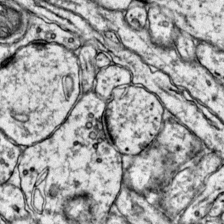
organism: Mouse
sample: Primary visual cortex